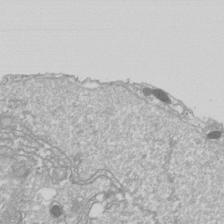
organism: Drosophila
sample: Cell division; meiosis; drosophila spermatocytes